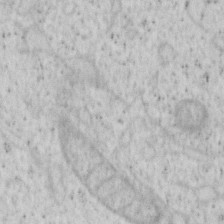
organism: Human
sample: HeLa cells